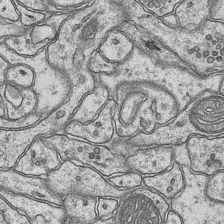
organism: Mouse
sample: CA1 Hippocampus